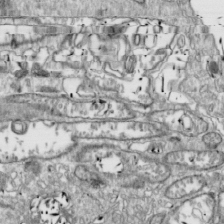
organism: Drosophila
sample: Cell division; meiosis; drosophila spermatocytes